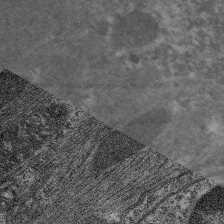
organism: C. elegans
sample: Pharynx